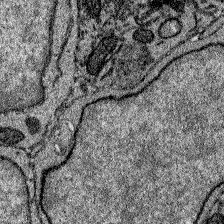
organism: Zebrafish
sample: Larval olfactory bulb